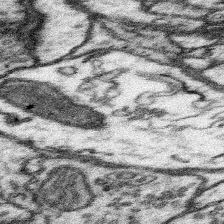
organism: Mouse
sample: Somatosensory cortex neuropil